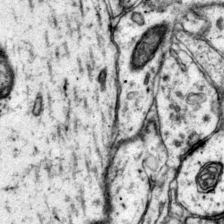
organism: Mouse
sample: Primary visual cortex